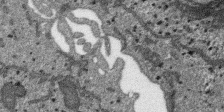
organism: Human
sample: Lung epithelial cells infected with SARS-CoV-2